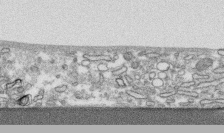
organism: Human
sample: CRL-1474